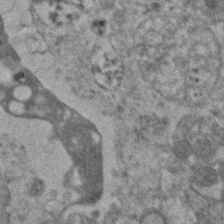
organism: Human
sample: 1205lu cells